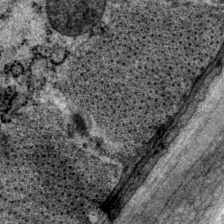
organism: P. pacificus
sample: Pharynx